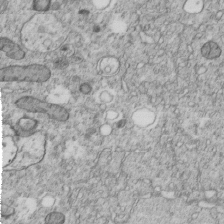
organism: C. elegans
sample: C. elegans embryo early stage